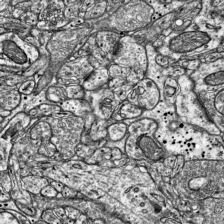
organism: Mouse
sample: Visual Cortex